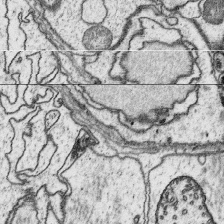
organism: Platynereis dumerilii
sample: Parapodia